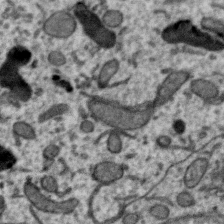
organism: Zebra finch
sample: Brain